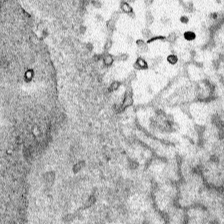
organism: Human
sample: Mitochondria in HCT116 cells